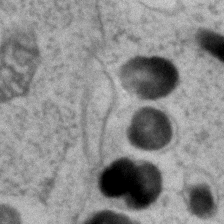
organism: Zebrafish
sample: Zebrafish embryo